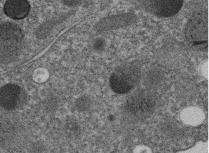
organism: C. elegans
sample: C. elegans embryo early stage